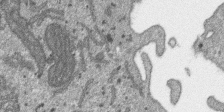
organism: Human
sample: Lung epithelial cells infected with SARS-CoV-2